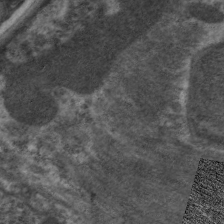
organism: C. elegans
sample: Pharynx